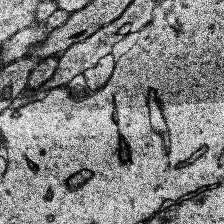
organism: Human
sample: Temporal Lobe